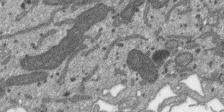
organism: Human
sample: Lung epithelial cells infected with SARS-CoV-2